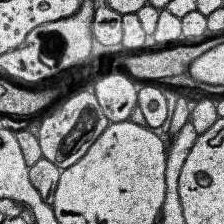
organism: Human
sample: Temporal Lobe